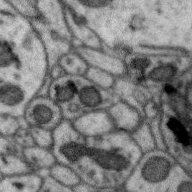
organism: Zebra finch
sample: Brain